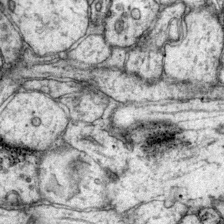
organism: Mouse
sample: Primary visual cortex